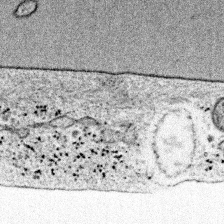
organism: Human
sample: HeLa cells